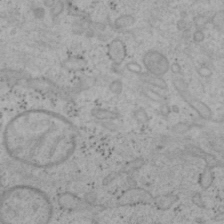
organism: Human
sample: HeLa cells